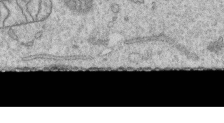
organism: Human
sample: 1205lu cells